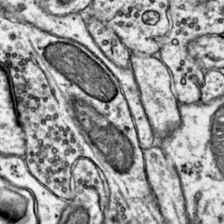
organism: Mouse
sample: Primary visual cortex